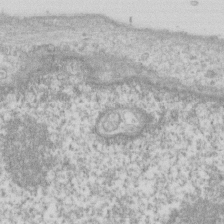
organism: Human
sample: Fibroblast cells